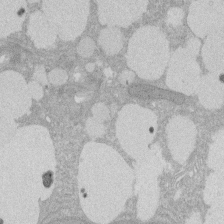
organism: Rat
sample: Salivary granule